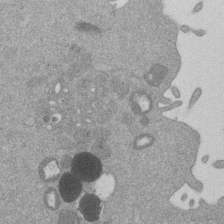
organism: Mouse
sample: Dividing mouse embryo 1 cell stage